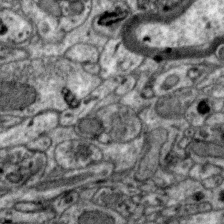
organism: Zebra finch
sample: Brain